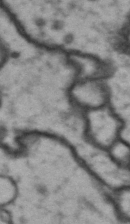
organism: Drosophila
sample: Brain